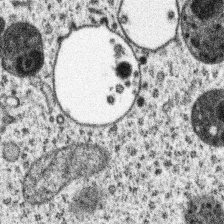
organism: Human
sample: HeLa cells